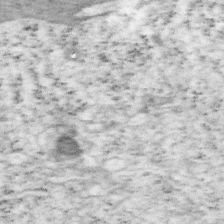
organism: Mouse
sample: OT-I killer T cells with ID8 ovarian cancer cells